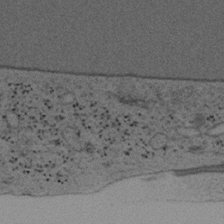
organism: Human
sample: HeLa cells